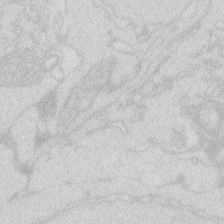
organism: Zebrafish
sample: Macrophage